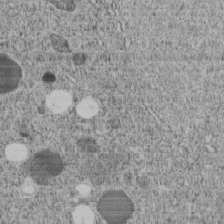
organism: C. elegans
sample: C. elegans embryo early stage